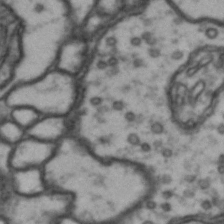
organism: Drosophila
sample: Brain